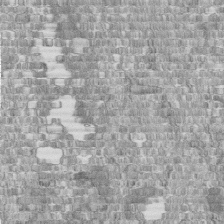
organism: Human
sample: Centriole in fibroblast cells